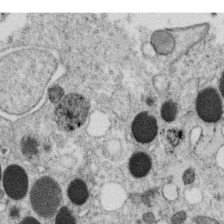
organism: C. elegans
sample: C. elegans oocyte; sperm cells